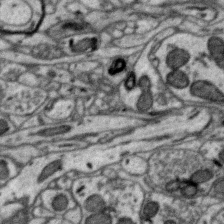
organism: Zebra finch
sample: Brain